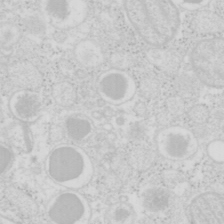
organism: Mouse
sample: Pancreas